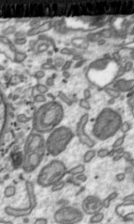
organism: Toxoplasma gondii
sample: Parasites in a vacuole inside a host cell